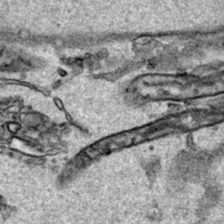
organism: Human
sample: Mitochondria in HCT116 cells